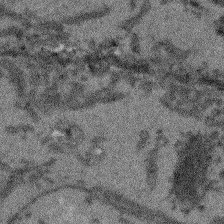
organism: Arabidopsis thaliana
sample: Root tip